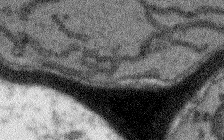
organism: Arabidopsis thaliana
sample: Root tip